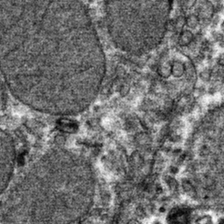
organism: Mouse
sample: Mouse hepatocytes